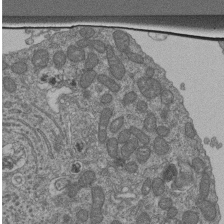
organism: Human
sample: Retinal organoid Rod and Cone cells